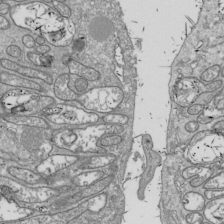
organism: Drosophila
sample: Cell division; meiosis; drosophila spermatocytes